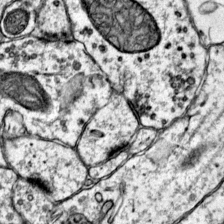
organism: Mouse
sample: Primary visual cortex